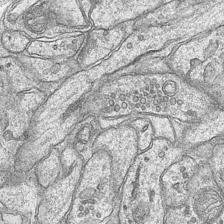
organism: Mouse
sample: CA1 Hippocampus